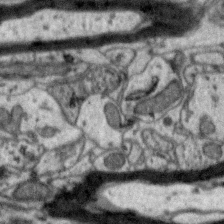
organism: Zebra finch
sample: Brain